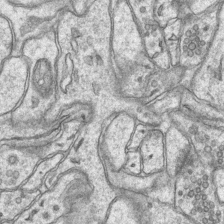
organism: Mouse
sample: CA1 Hippocampus